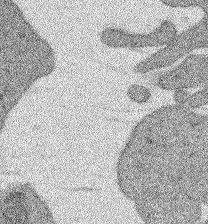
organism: Human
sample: HeLa cells